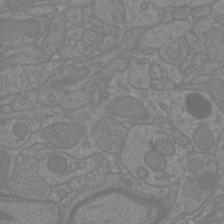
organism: Mouse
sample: Cortical neurons